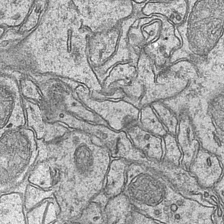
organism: Mouse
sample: CA1 Hippocampus